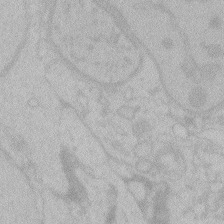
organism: Zebrafish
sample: Macrophage infected with Toxoplasma gondii